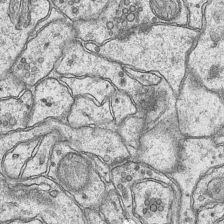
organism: Mouse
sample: CA1 Hippocampus